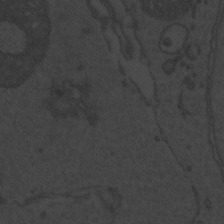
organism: Zebrafish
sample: Macrophage infected with Toxoplasma gondii